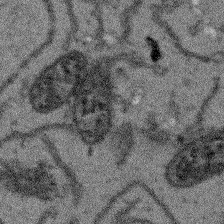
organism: Arabidopsis thaliana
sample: Root tip